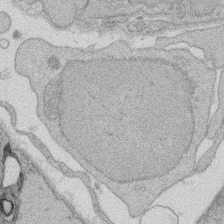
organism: Rat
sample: Salivary granule